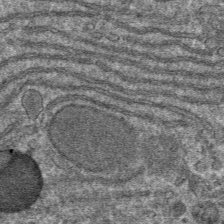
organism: Mouse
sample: Mouse hepatocytes